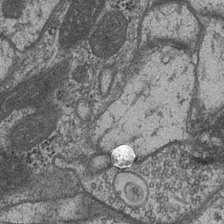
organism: Drosophila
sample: Optic medulla